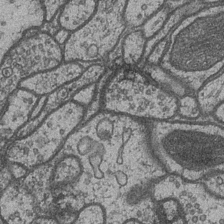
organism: Drosophila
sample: Optic medulla